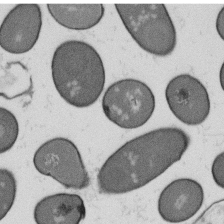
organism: B. subtilis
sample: Bacterial spore